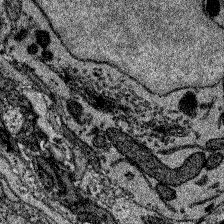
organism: Zebrafish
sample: Larval olfactory bulb